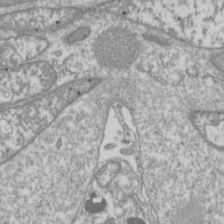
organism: Drosophila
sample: Cell division; meiosis; drosophila spermatocytes